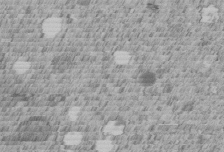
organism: C. elegans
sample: C. elegans embryo early stage